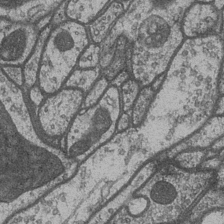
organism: Drosophila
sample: Optic medulla